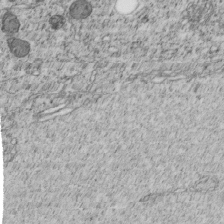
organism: C. elegans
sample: C. elegans embryo early stage